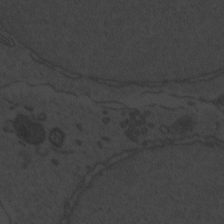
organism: Zebrafish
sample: Macrophage infected with Toxoplasma gondii